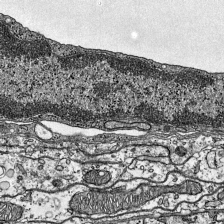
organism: Mouse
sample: Visual Cortex